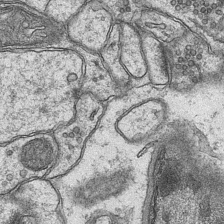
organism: Mouse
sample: CA1 Hippocampus